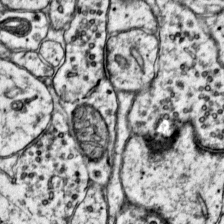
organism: Mouse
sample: Primary visual cortex